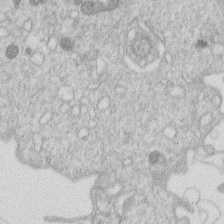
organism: Human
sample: Macrophage cells